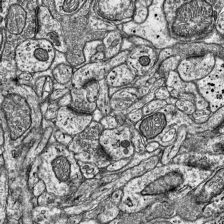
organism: Mouse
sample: Visual Cortex